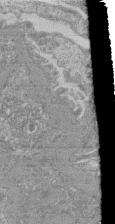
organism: Mouse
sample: Glomerulus